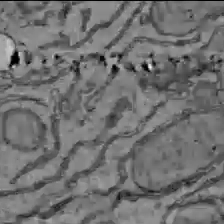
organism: C57BL Mouse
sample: Liver